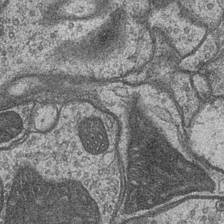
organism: Drosophila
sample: Optic medulla